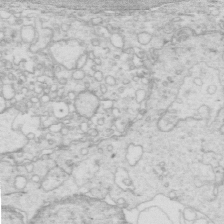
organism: Mouse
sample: Multiciliated cells